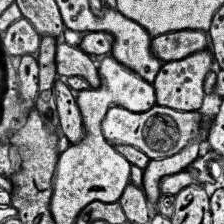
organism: Human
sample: Temporal Lobe